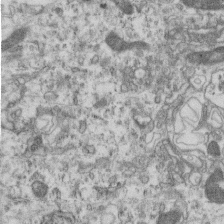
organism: Mouse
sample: Centriole in ependymal cells